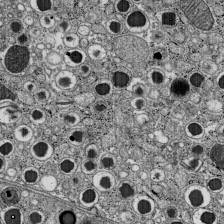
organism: C57BL Mouse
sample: Pancreatic islet